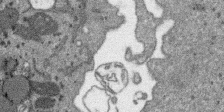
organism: Human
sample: Lung epithelial cells infected with SARS-CoV-2